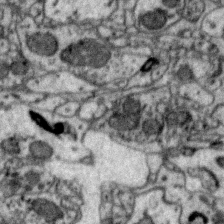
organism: Zebra finch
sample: Brain